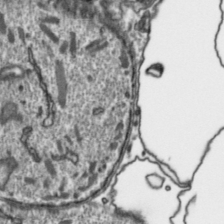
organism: Toxoplasma gondii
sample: Parasites in a vacuole inside a host cell